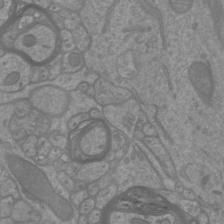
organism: Mouse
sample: Cortical neurons